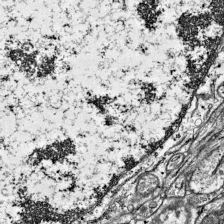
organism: Mouse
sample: Visual Cortex